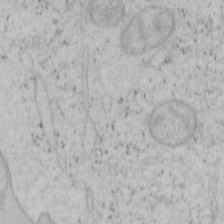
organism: Human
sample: HeLa cells